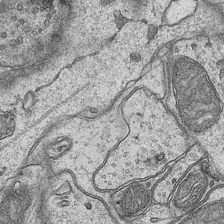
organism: Mouse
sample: CA1 Hippocampus